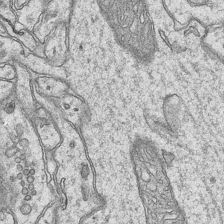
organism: Mouse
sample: CA1 Hippocampus